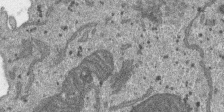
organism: Human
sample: Lung epithelial cells infected with SARS-CoV-2